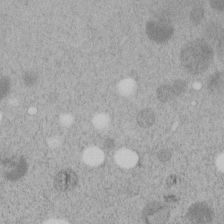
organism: C. elegans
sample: C. elegans embryo early stage